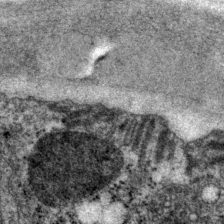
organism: P. pacificus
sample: Pharynx